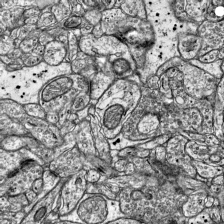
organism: Mouse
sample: Visual Cortex